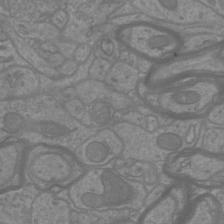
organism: Mouse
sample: Cortical neurons